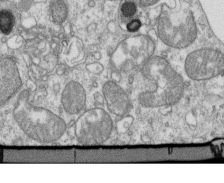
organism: Mouse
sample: Activated OT-1 CD8+ T cells